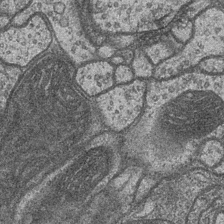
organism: Drosophila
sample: Optic medulla